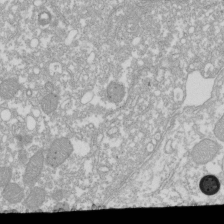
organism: Xenopus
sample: Cilia; centrioles in frog embryo cells